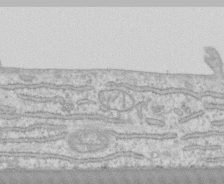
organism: Human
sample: CRL-1474